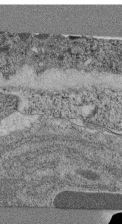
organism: C. elegans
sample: C. elegans pharynx